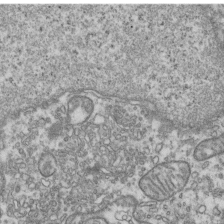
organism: Human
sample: Activated Jurkat CD4+ T cells